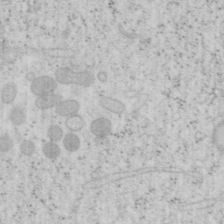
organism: Human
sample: HeLa cells